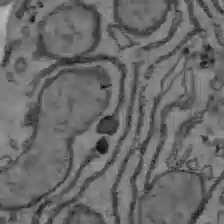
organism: C57BL Mouse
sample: Liver